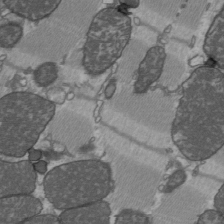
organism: C57BL Mouse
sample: Heart